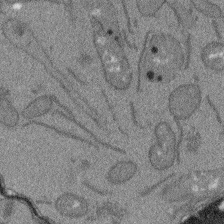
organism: Arabidopsis thaliana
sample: Root tip